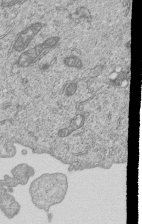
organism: Human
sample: MDA-MB-231 cells